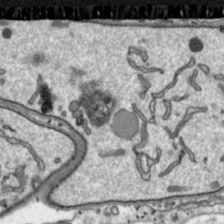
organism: Toxoplasma gondii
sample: Parasites in a vacuole inside a host cell